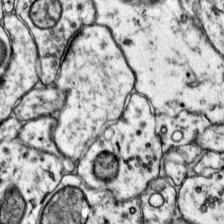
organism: Mouse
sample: Primary visual cortex